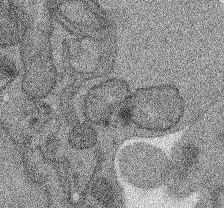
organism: Human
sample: HeLa cells